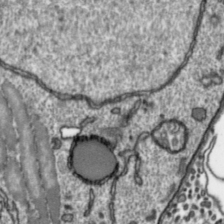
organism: Toxoplasma gondii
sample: Parasites in a vacuole inside a host cell